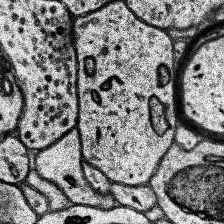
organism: Human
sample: Temporal Lobe